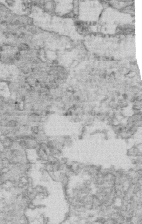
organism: Mouse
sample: Multiciliated cells